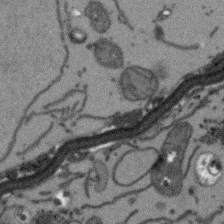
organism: Arabidopsis thaliana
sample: Root tip